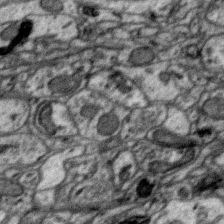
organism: Zebra finch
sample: Brain